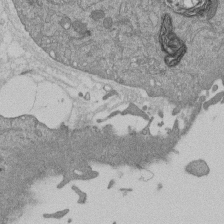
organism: Mouse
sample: ED-1 cell nuclei; centrioles